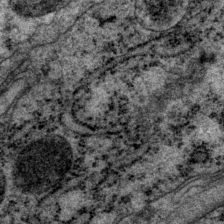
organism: P. pacificus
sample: Pharynx